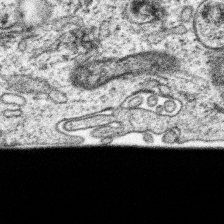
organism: Human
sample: HeLa cells